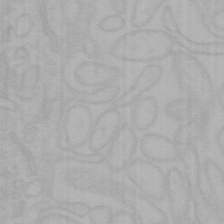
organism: Mouse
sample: Choroid plexus